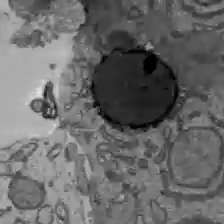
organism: C57BL Mouse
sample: Liver